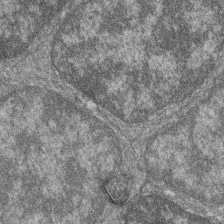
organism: Zebrafish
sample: Cilia; retinal pigment epithelium